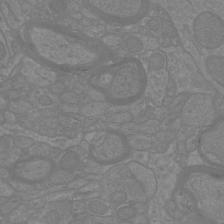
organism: Mouse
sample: Cortical neurons